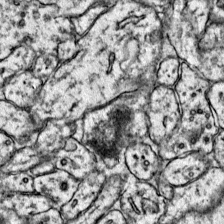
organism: Mouse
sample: Primary visual cortex